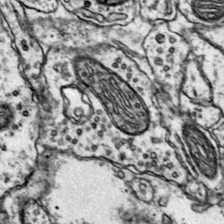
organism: Mouse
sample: Primary visual cortex